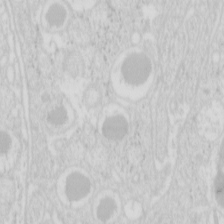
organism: Mouse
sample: Pancreas